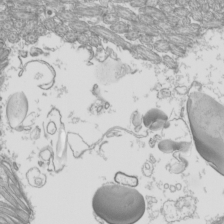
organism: Mouse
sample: Cilia; mouse epididymis